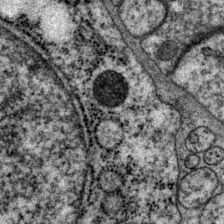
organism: P. pacificus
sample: Pharynx